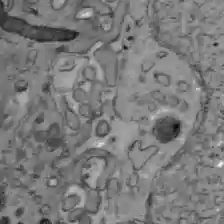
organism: C57BL Mouse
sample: Liver